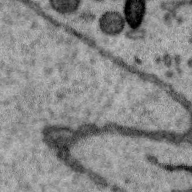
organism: Zebra finch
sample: Brain